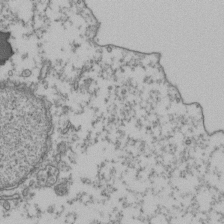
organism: Human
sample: Activated Jurkat CD4+ T cells